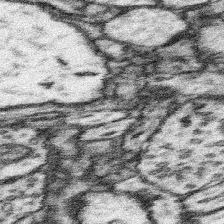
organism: Mouse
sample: Somatosensory cortex neuropil